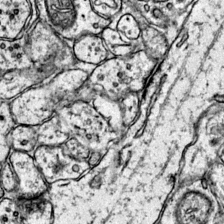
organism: Mouse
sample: Primary visual cortex